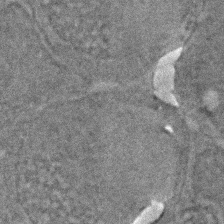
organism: Zebrafish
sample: Zebrafish embryo